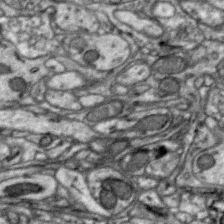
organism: Zebra finch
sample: Brain